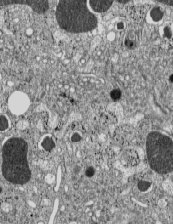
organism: C57BL Mouse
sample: Pancreatic islet